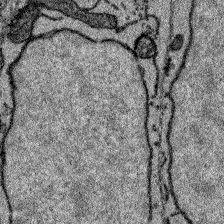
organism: Zebrafish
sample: Larval olfactory bulb